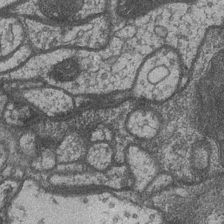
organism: Drosophila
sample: Optic medulla